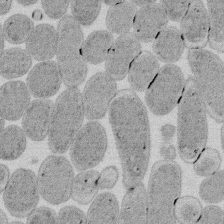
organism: E. coli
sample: Bacterial nucleoid